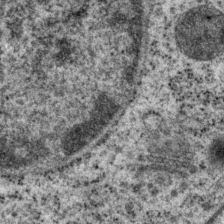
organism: P. pacificus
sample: Pharynx